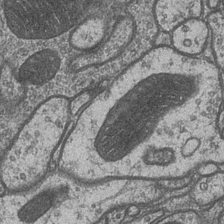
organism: Drosophila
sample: Optic medulla